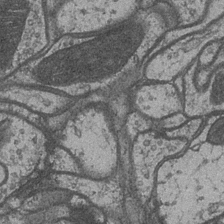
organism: Drosophila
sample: Optic medulla